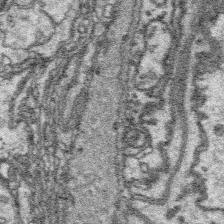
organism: Platynereis dumerilii